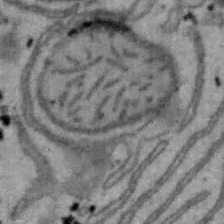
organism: Mouse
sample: Liver